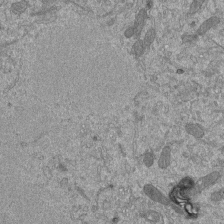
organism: Mouse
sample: ED-1 cell nuclei; centrioles